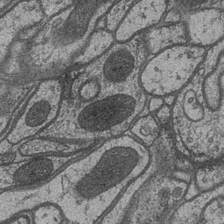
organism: Drosophila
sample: Optic medulla